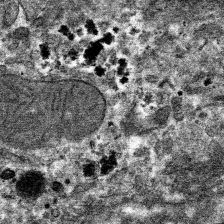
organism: Mouse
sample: Mouse hepatocytes